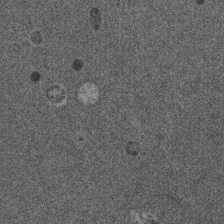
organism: Mouse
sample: Dividing mouse embryo 1 cell stage